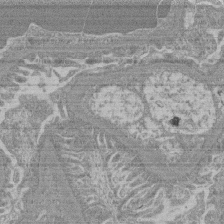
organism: Mouse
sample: Glomerulus